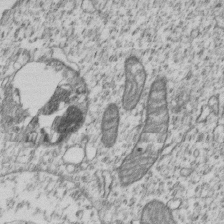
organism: Human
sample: MDA-MB-231 cells